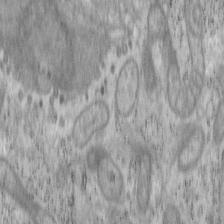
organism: Human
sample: HeLa cells